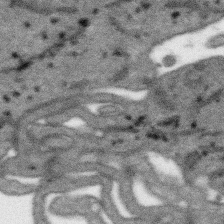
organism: Human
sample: Lung epithelial cells infected with SARS-CoV-2